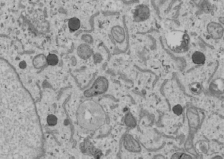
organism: Human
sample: Mitochondria in U2OS cells